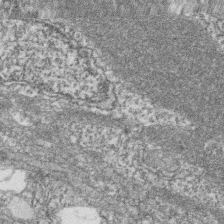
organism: Zebrafish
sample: Cilia; retinal pigment epithelium